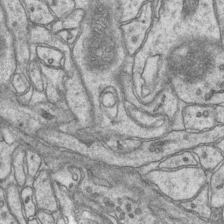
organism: Mouse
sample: CA1 Hippocampus